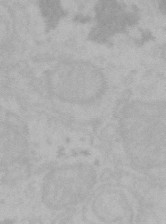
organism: Mouse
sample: Choroid plexus